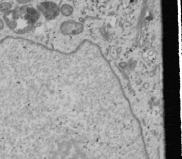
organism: Human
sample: Mitochondria in U2OS cells